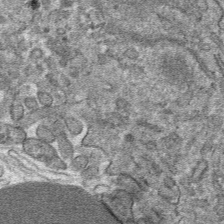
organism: Mouse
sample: Mouse hepatocytes